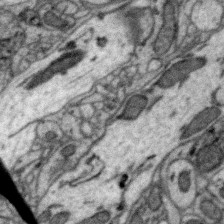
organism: Zebra finch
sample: Brain